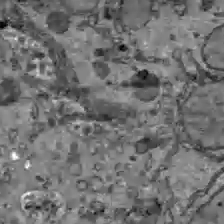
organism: C57BL Mouse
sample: Liver